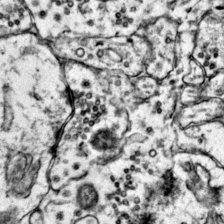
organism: Mouse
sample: Primary visual cortex